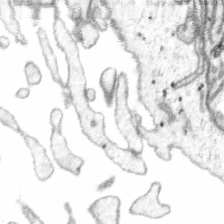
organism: Human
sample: HeLa cells